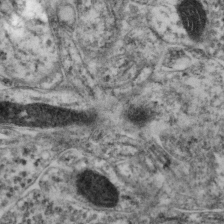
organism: Mouse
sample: Neocortex